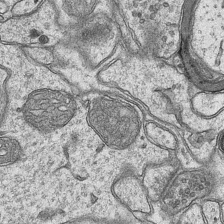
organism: Mouse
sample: CA1 Hippocampus